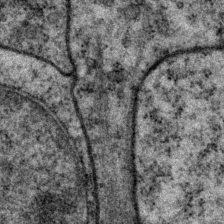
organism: P. pacificus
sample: Pharynx